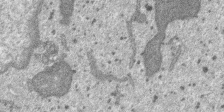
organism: Human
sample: Lung epithelial cells infected with SARS-CoV-2